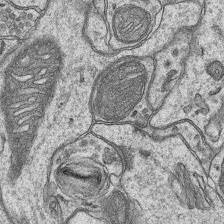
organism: Mouse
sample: CA1 Hippocampus